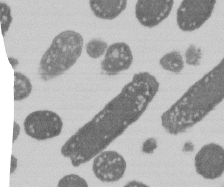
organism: E. coli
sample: Bacterial nucleoid